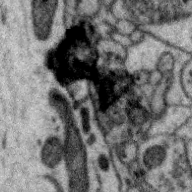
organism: Zebra finch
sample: Brain